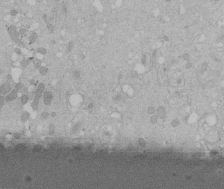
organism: Human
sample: Melanocyte Keratinocyte synapse skin construct